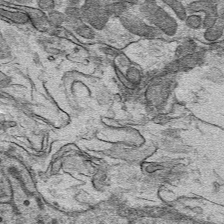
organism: Mouse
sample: Mouse hepatocytes